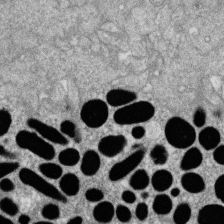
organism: Zebrafish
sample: Cilia; retinal pigment epithelium